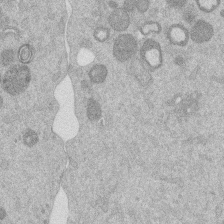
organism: Mouse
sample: Dividing mouse embryo 1 cell stage